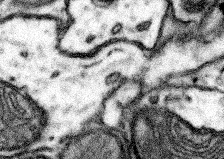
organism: Mouse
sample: Somatosensory cortex neuropil